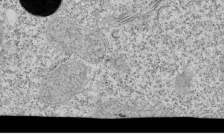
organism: Tetrahymena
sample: Cilia in tetrahymena